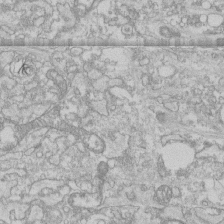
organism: Human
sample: CRL-1474